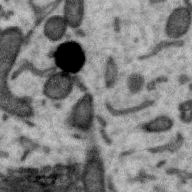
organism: Zebra finch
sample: Brain